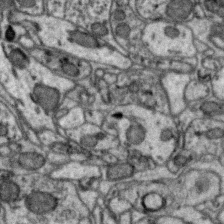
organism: Zebra finch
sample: Brain